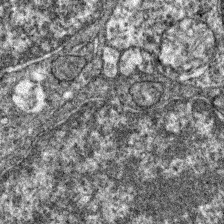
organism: Zebrafish